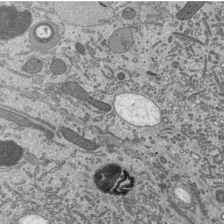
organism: Mouse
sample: Mouse epididymis efferent ductule cilia